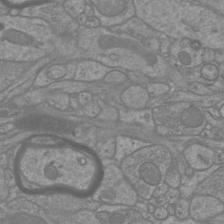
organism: Mouse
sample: Cortical neurons